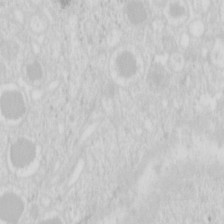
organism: Mouse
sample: Pancreas